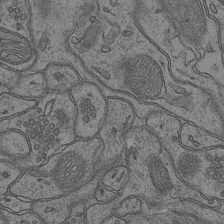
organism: Mouse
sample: CA1 Hippocampus